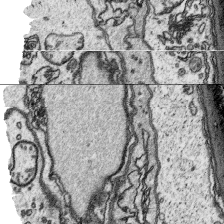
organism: Platynereis dumerilii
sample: Parapodia